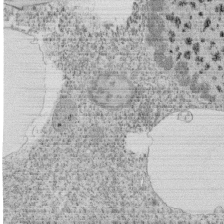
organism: Tetrahymena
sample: Cilia in tetrahymena